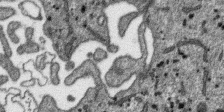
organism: Human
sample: Lung epithelial cells infected with SARS-CoV-2